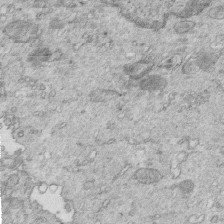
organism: Mouse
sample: Multiciliated cells